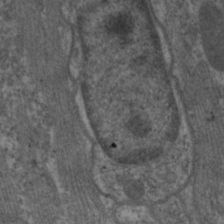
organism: C. elegans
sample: Pharynx